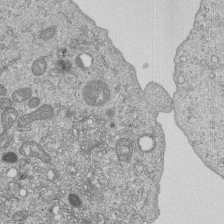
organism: Human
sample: MDA-MB-231 cells